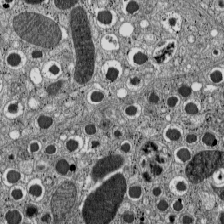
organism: C57BL Mouse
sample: Pancreatic islet